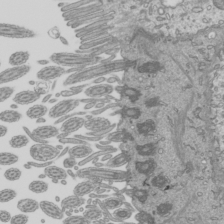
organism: Mouse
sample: Cilia; mouse epididymis